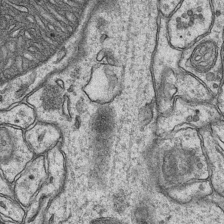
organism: Mouse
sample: CA1 Hippocampus